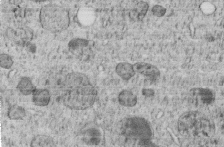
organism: C. elegans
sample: C. elegans embryo early stage